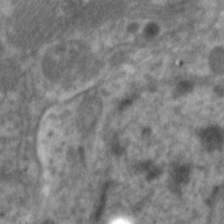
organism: C. elegans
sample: Pharynx